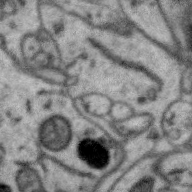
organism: Zebra finch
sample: Brain